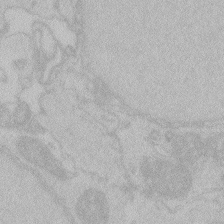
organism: Zebrafish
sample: Macrophage infected with Toxoplasma gondii